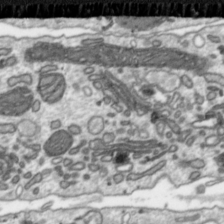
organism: Toxoplasma gondii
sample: Parasites in a vacuole inside a host cell